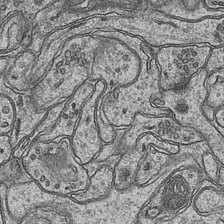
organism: Mouse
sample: CA1 Hippocampus